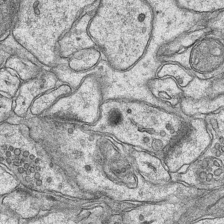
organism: Mouse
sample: CA1 Hippocampus